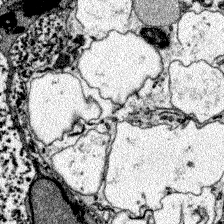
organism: Zebrafish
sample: Larval olfactory bulb